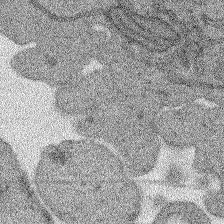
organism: Human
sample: HeLa cells